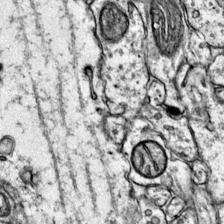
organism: Mouse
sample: Primary visual cortex